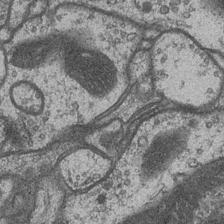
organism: Drosophila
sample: Optic medulla